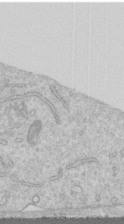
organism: Human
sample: Centriole in RPE cells